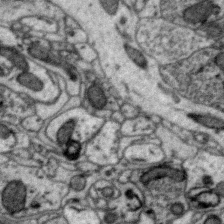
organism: Zebra finch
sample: Brain